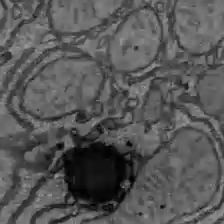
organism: C57BL Mouse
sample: Liver